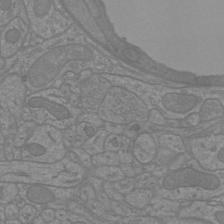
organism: Mouse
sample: Cortical neurons